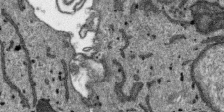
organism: Human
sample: Lung epithelial cells, uninfected (mock) control